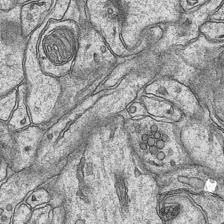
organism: Mouse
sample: CA1 Hippocampus